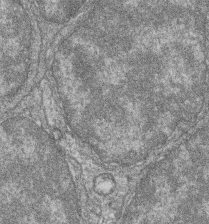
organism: Zebrafish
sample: Cilia; retinal pigment epithelium